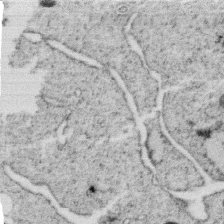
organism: C. elegans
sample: C. elegans oocyte; sperm cells